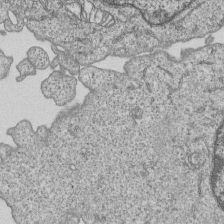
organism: Human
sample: MDA-MB-231 cells